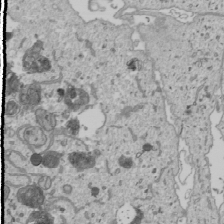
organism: Human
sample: Mitochondria in U2OS cells